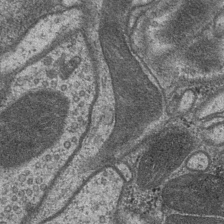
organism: Drosophila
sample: Optic medulla